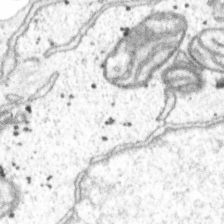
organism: Human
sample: HeLa cells